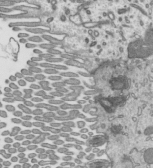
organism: Mouse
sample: Mouse epididymis efferent ductule cilia